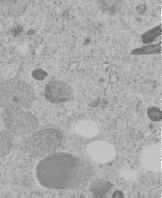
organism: C. elegans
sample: C. elegans embryo early stage